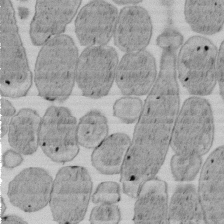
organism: E. coli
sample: Bacterial nucleoid